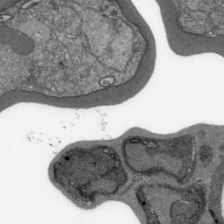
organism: Plasmodium falciparum